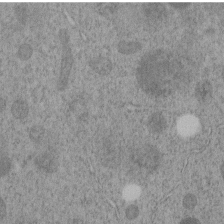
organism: C. elegans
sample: C. elegans embryo early stage